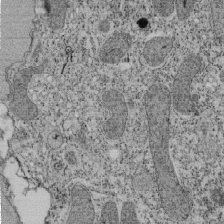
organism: Tetrahymena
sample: Cilia in tetrahymena